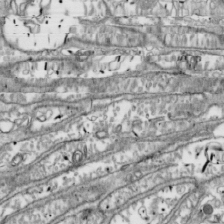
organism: Drosophila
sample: Cell division; meiosis; drosophila spermatocytes